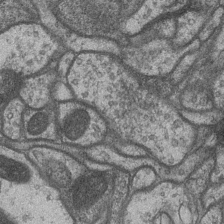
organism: Drosophila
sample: Optic medulla